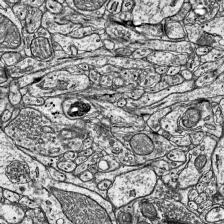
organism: Mouse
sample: Visual Cortex